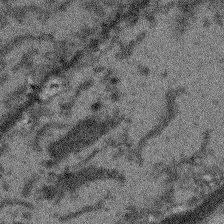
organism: Arabidopsis thaliana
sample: Root tip